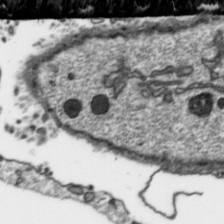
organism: Toxoplasma gondii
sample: Parasites in a vacuole inside a host cell